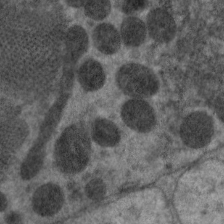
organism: C. elegans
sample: Pharynx